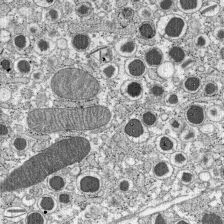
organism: C57BL Mouse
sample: Pancreatic islet